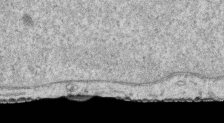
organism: Human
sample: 1205lu cells